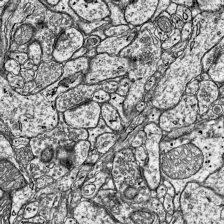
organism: Mouse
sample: Visual Cortex